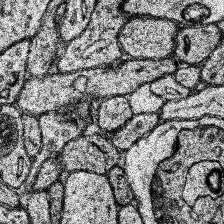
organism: Human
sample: Temporal Lobe